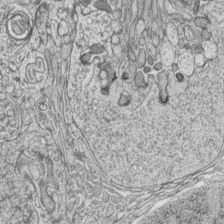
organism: Zebrafish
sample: synaptic ribbons in rod cells and cone cells